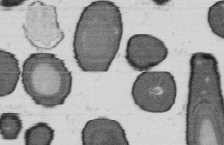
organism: B. subtilis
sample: Bacterial spore